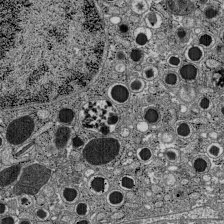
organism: C57BL Mouse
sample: Pancreatic islet